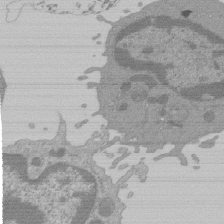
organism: Mouse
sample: Activated Pmel transgenic CD8+ T Cells